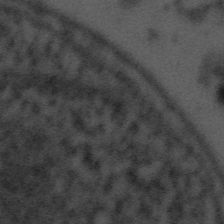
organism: Tuwongella immobilis